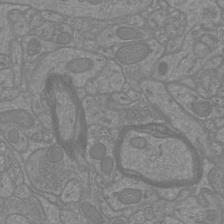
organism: Mouse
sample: Cortical neurons